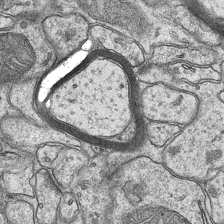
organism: Mouse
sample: CA1 Hippocampus